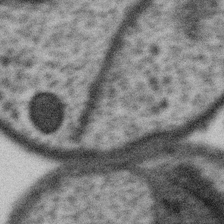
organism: Gemmata obscuriglobus